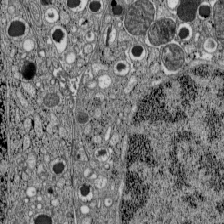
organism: C57BL Mouse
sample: Pancreatic islet